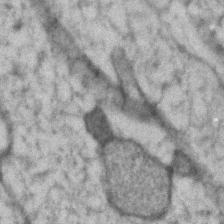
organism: Human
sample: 1205lu cells